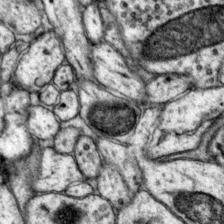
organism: Mouse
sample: Primary visual cortex